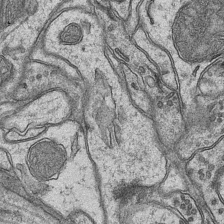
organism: Mouse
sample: CA1 Hippocampus